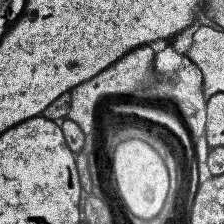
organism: Human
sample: Temporal Lobe